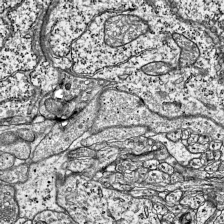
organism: Mouse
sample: Visual Cortex